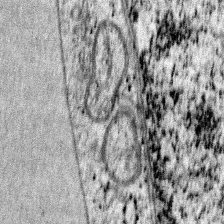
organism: Human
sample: HeLa cells